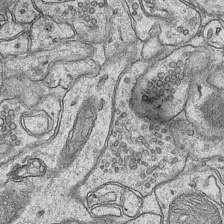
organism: Mouse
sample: CA1 Hippocampus